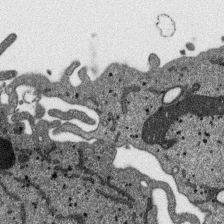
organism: Human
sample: Lung epithelial cells infected with SARS-CoV-2